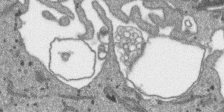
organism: Human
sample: Lung epithelial cells infected with SARS-CoV-2